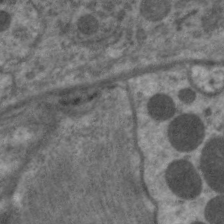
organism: C. elegans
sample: Pharynx